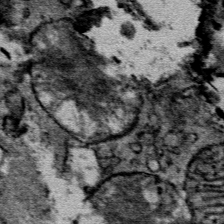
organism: Mouse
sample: Mouse Salivary gland